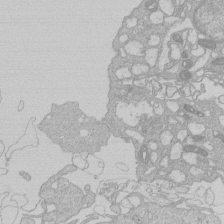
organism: Human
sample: Macrophage cells